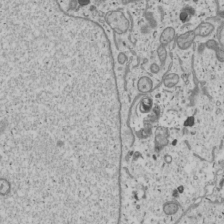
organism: Human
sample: Mitochondria in U2OS cells